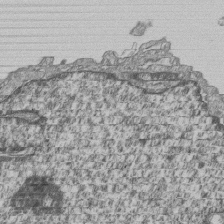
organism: Human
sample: MDA-MB-231 cells